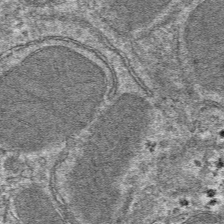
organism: Mouse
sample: Mouse hepatocytes